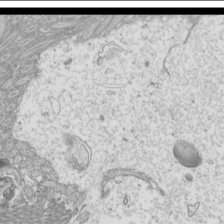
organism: Mouse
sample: Cilia; mouse epididymis